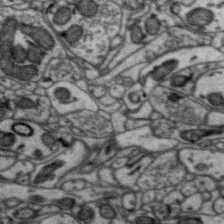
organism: Zebra finch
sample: Brain